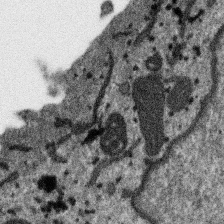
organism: Human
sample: Lung epithelial cells infected with SARS-CoV-2